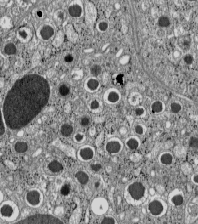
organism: C57BL Mouse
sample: Pancreatic islet